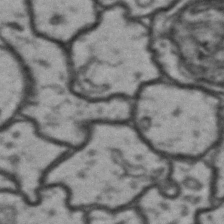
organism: Drosophila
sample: Brain